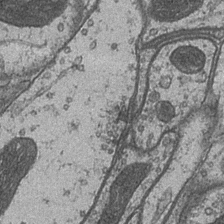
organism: Drosophila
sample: Optic medulla